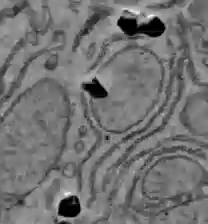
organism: C57BL Mouse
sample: Liver